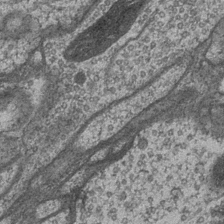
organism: Drosophila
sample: Optic medulla